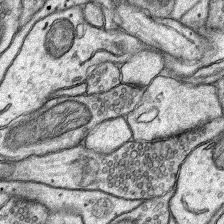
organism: Rat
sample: Hippocampus